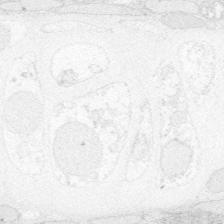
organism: Zebrafish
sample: Whole-Brain